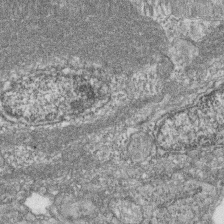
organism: Zebrafish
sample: Cilia; retinal pigment epithelium